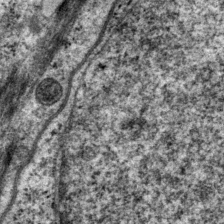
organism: P. pacificus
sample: Pharynx